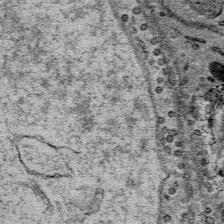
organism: Mouse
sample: Mouse Salivary gland